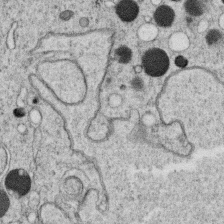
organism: C. elegans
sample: C. elegans oocyte; sperm cells